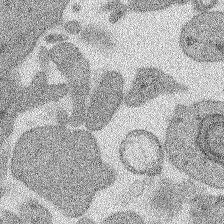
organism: Human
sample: HeLa cells